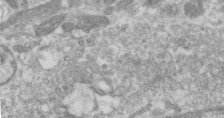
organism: Human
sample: Centriole in RPE cells